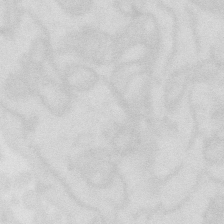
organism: Human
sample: HeLa cells